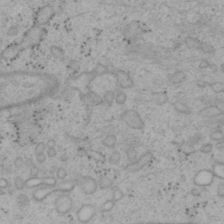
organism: Human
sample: HeLa cells